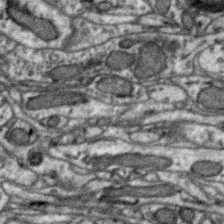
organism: Zebra finch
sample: Brain